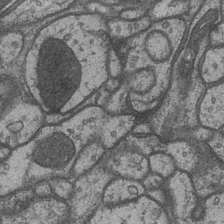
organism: Drosophila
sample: Optic medulla